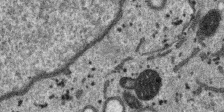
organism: Human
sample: Lung epithelial cells infected with SARS-CoV-2